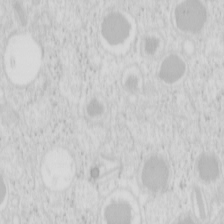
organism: Mouse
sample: Pancreas